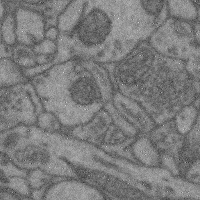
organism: Mouse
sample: Cerebral cortex